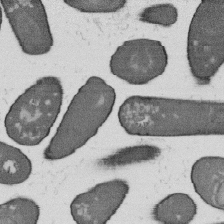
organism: B. subtilis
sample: Bacterial spore